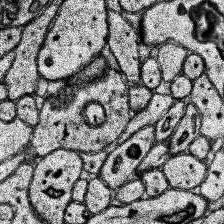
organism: Human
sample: Temporal Lobe